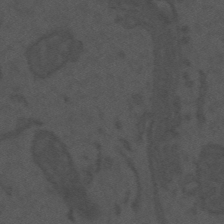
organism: Mouse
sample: Suprachiasmatic nucleus